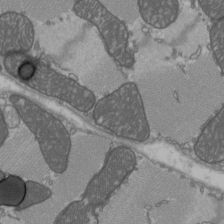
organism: C57BL Mouse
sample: Heart